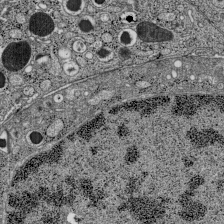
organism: C57BL Mouse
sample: Pancreatic islet